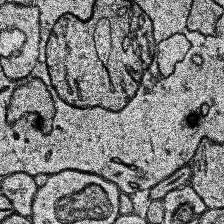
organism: Human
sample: Temporal Lobe